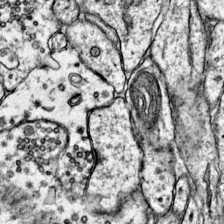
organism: Mouse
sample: Primary visual cortex